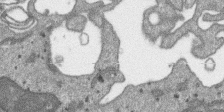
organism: Human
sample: Lung epithelial cells infected with SARS-CoV-2